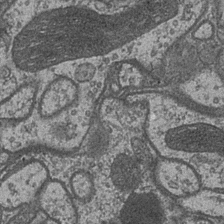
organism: Drosophila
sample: Optic medulla